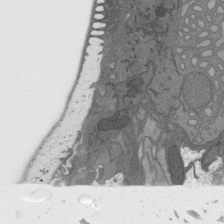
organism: C. elegans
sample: AFD neurons C. elegans